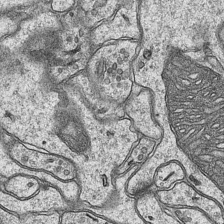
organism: Mouse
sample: CA1 Hippocampus